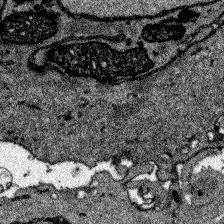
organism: Zebrafish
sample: Larval olfactory bulb